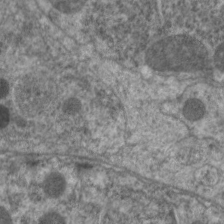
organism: C. elegans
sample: Pharynx